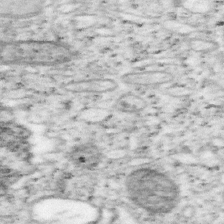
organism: Mouse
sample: OT-I killer T cells with ID8 ovarian cancer cells